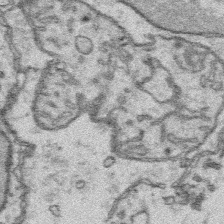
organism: Platynereis dumerilii